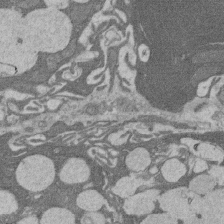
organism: Rat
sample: Salivary granule